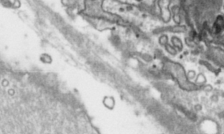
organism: Toxoplasma gondii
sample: Parasites in a vacuole inside a host cell